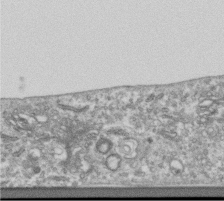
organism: Human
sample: Centriole in RPE cells